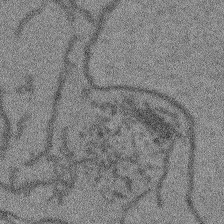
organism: Arabidopsis thaliana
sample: Root tip